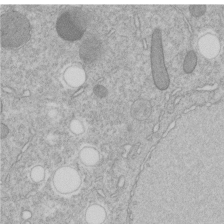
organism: C. elegans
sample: C. elegans embryo early stage